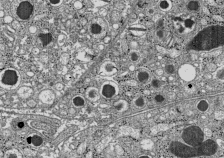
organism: C57BL Mouse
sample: Pancreatic islet